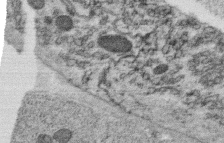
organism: C. elegans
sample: C. elegans oocyte; sperm cells